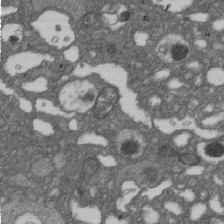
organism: Drosophila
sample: Nephrocyte